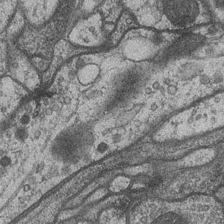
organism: Drosophila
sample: Optic medulla